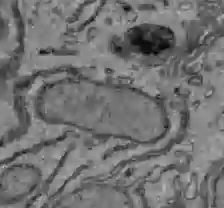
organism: C57BL Mouse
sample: Liver